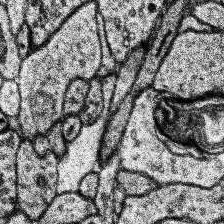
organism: Human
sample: Temporal Lobe